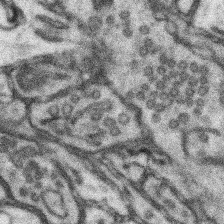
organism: Mouse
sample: Somatosensory cortex neuropil